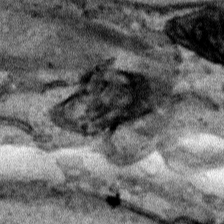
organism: Human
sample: Mitochondria in HCT116 cells